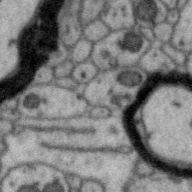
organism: Zebra finch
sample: Brain